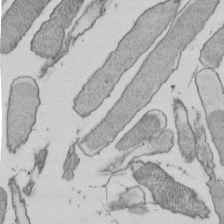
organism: E. coli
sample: Bacterial nucleoid